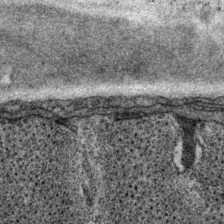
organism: P. pacificus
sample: Pharynx